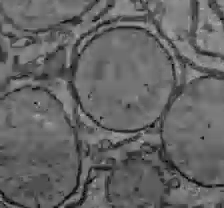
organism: C57BL Mouse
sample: Liver